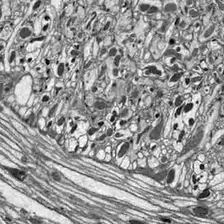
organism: Drosophila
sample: Optic lobe